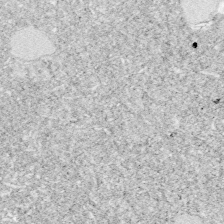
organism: Zebrafish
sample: Whole-Brain